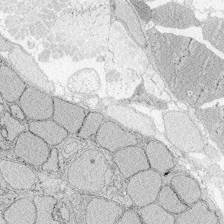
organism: Zebrafish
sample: Whole-Brain